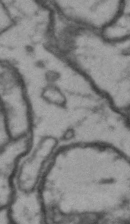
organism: Drosophila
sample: Brain